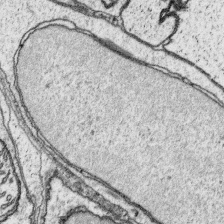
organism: Platynereis dumerilii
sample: Parapodia